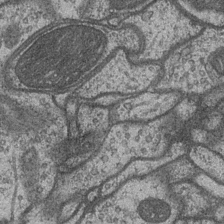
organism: Drosophila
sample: Optic medulla